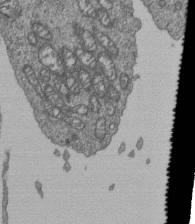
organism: Human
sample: Retinal organoid Rod and Cone cells